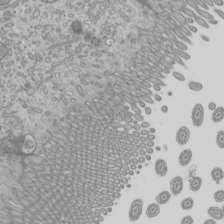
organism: Mouse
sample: Cilia; mouse epididymis